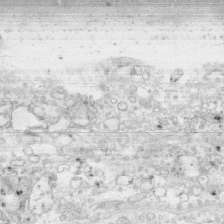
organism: Human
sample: CRL-1474